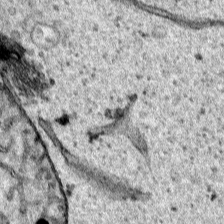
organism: Human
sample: Mitochondria in HCT116 cells